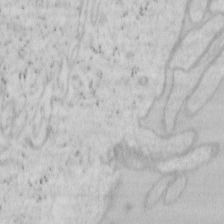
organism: Human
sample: HeLa cells